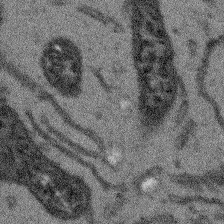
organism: Arabidopsis thaliana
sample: Root tip